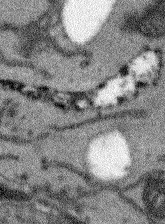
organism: Arabidopsis thaliana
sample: Root tip